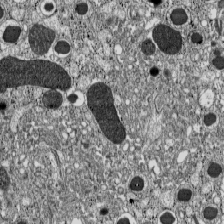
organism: C57BL Mouse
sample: Pancreatic islet